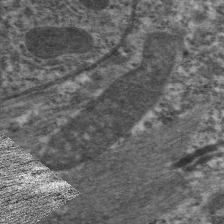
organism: C. elegans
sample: Pharynx